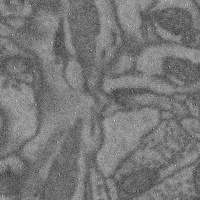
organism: Mouse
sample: Cerebral cortex